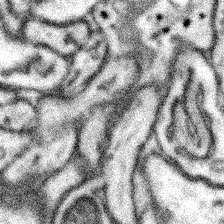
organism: Mouse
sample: Somatosensory cortex neuropil